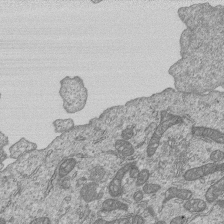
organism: Human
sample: MDA-MB-231 cells